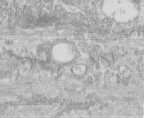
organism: Human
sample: Centriole in fibroblast cells